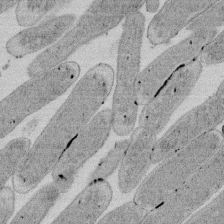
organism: E. coli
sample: Bacterial nucleoid